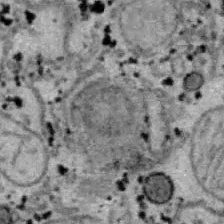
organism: Mouse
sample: Liver from an obese (ob/ob) mouse